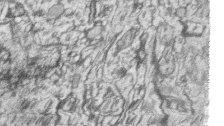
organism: Zebrafish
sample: synaptic ribbons in rod cells and cone cells